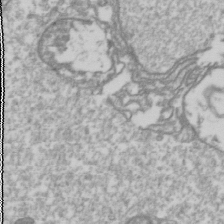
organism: Drosophila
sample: Cell division; meiosis; drosophila spermatocytes